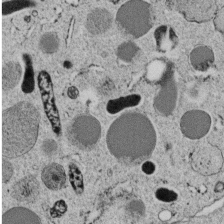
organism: C. elegans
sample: C. elegans embryo early stage